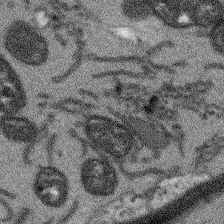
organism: Arabidopsis thaliana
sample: Root tip